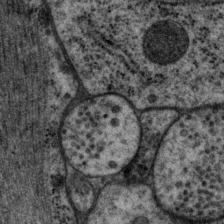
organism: P. pacificus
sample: Pharynx